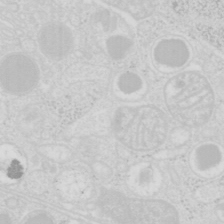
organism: Mouse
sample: Pancreas